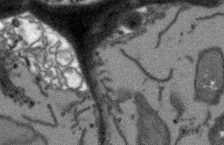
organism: Arabidopsis thaliana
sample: Root tip